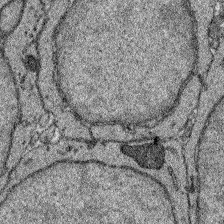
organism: Zebrafish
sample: Larval olfactory bulb